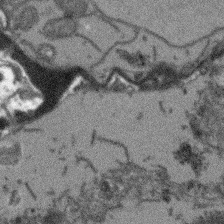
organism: Arabidopsis thaliana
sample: Root tip